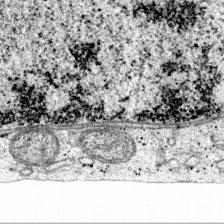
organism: Human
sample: HeLa cells